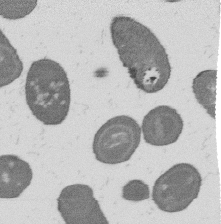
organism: B. subtilis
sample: Bacterial spore